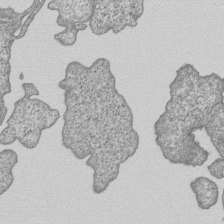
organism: Human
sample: MDA-MB-231 cells